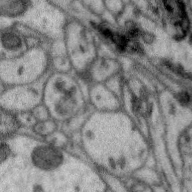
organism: Zebra finch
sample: Brain